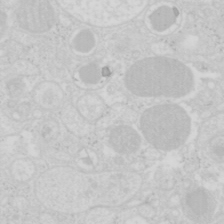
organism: Mouse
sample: Pancreas